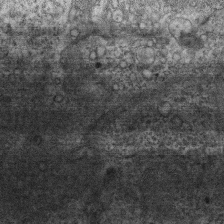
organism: Mouse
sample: Centriole in ependymal cells